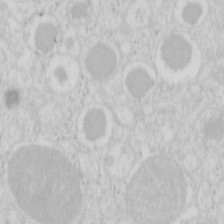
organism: Mouse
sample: Pancreas